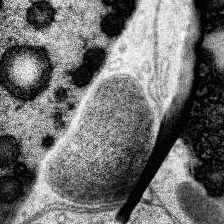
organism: Human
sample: Temporal Lobe